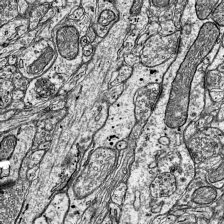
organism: Mouse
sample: Visual Cortex